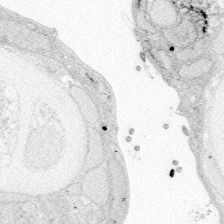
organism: Zebrafish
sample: Whole-Brain